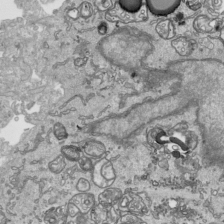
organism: Human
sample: Mitochondria in HCT116 cells